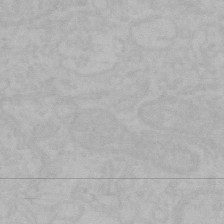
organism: Mouse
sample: Choroid plexus